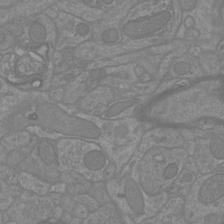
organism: Mouse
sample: Cortical neurons